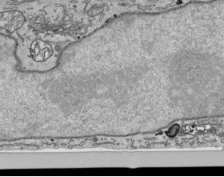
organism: Human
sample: Mitochondria in HCT116 cells